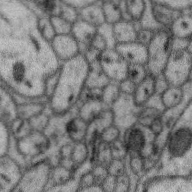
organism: Zebra finch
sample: Brain